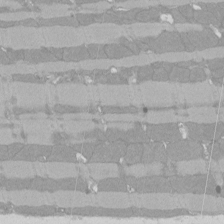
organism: Rat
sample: Left ventricle